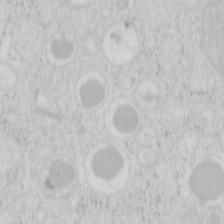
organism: Mouse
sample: Pancreas